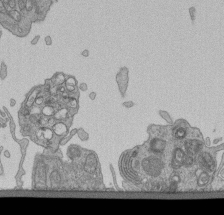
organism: Human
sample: Retinal organoid Rod and Cone cells